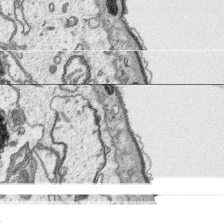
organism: Platynereis dumerilii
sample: Parapodia